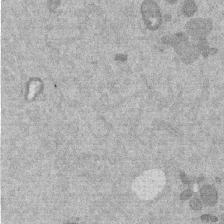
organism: Mouse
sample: Dividing mouse embryo 1 cell stage